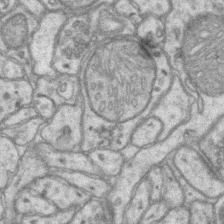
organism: Mouse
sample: CA1 Hippocampus